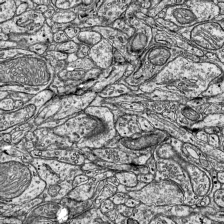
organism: Mouse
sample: Visual Cortex